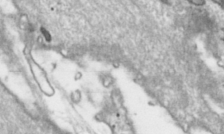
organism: Toxoplasma gondii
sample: Parasites in a vacuole inside a host cell